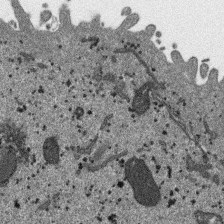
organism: Human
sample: Lung epithelial cells infected with SARS-CoV-2